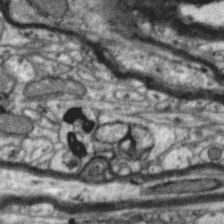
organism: Zebra finch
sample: Brain